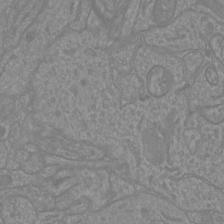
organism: Mouse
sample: Cortical neurons